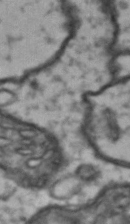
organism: Drosophila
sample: Brain